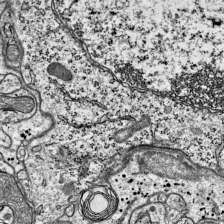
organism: Mouse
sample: Visual Cortex